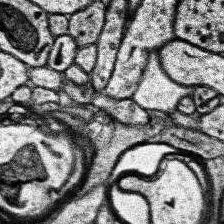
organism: Human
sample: Temporal Lobe